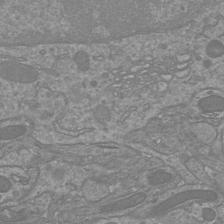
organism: Mouse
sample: Cortical neurons